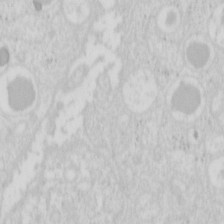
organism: Mouse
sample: Pancreas